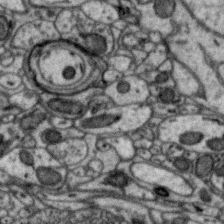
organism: Zebra finch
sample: Brain